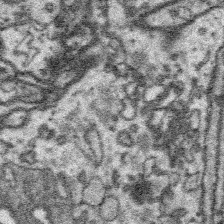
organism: Platynereis dumerilii